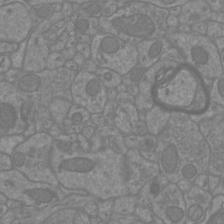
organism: Mouse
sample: Cortical neurons